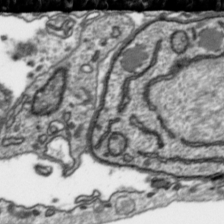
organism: Toxoplasma gondii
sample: Parasites in a vacuole inside a host cell